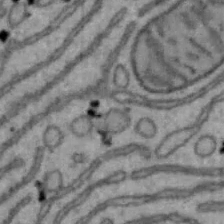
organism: Mouse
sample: Liver